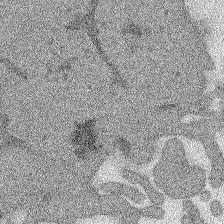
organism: Human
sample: HeLa cells